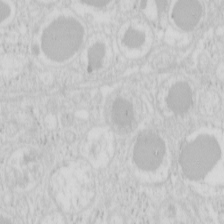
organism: Mouse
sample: Pancreas